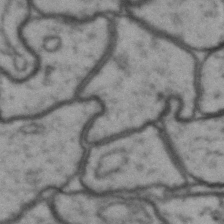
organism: Drosophila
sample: Brain